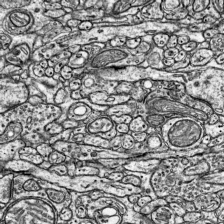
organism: Mouse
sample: Visual Cortex